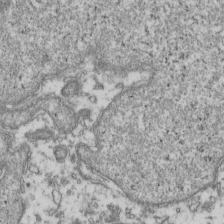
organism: Human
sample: Activated Jurkat CD4+ T cells